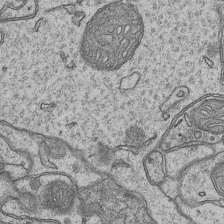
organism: Mouse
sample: CA1 Hippocampus